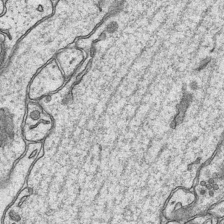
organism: Mouse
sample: CA1 Hippocampus